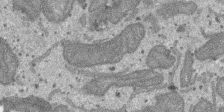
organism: Human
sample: Lung epithelial cells infected with SARS-CoV-2